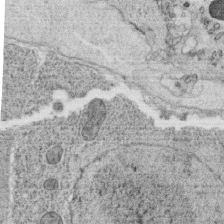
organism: C. elegans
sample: C. elegans oocyte; sperm cells